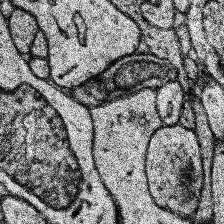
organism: Human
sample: Temporal Lobe